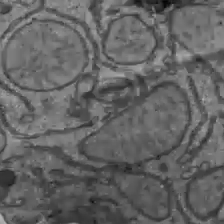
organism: C57BL Mouse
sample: Liver